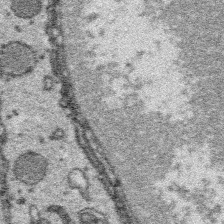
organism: Platynereis dumerilii